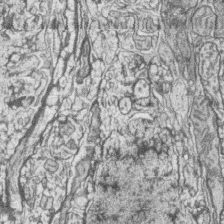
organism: Zebrafish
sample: synaptic ribbons in rod cells and cone cells